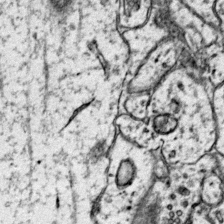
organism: Mouse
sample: Primary visual cortex